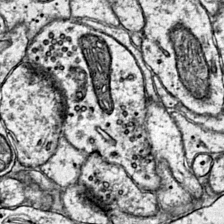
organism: Mouse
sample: Primary visual cortex